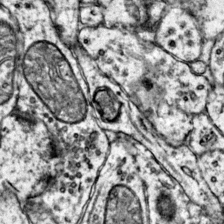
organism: Mouse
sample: Primary visual cortex